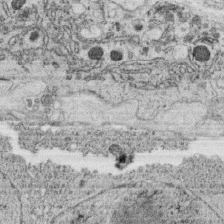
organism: C. elegans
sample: C. elegans oocyte; sperm cells